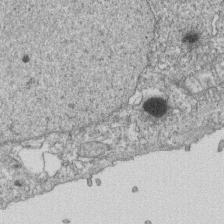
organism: Human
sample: HeLa cell HIV synapse